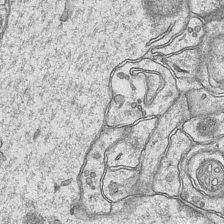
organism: Mouse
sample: CA1 Hippocampus